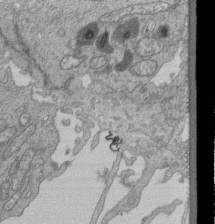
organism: Human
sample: Retinal organoid Rod and Cone cells